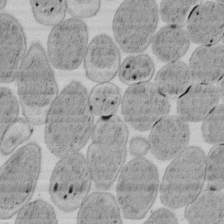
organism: E. coli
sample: Bacterial nucleoid